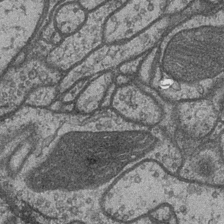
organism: Drosophila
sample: Optic medulla